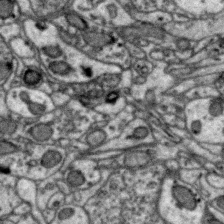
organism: Zebra finch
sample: Brain